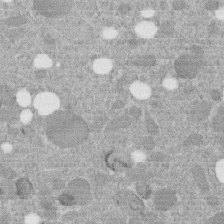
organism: C. elegans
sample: C. elegans embryo early stage